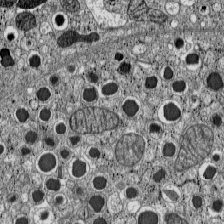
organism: C57BL Mouse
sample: Pancreatic islet